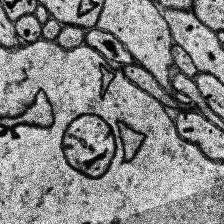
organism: Human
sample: Temporal Lobe